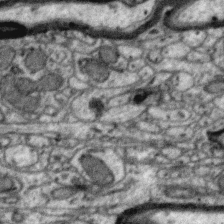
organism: Zebra finch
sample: Brain